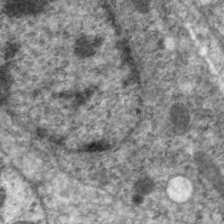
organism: C. elegans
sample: Pharynx